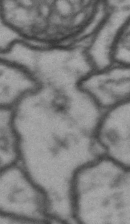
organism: Drosophila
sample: Brain